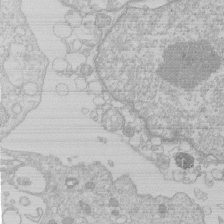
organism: Human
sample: Macrophage cells